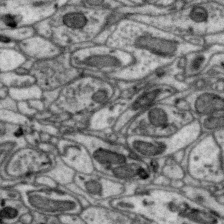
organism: Zebra finch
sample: Brain